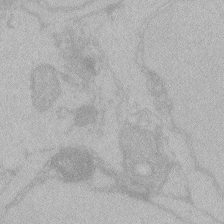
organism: Zebrafish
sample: Macrophage infected with Toxoplasma gondii